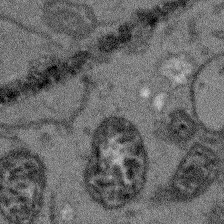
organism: Arabidopsis thaliana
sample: Root tip